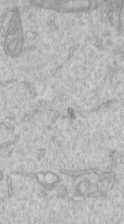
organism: Human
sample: Centriole in RPE cells